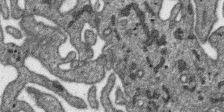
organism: Human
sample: Lung epithelial cells infected with SARS-CoV-2